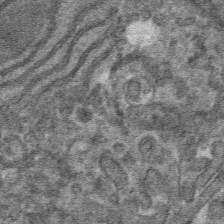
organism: Mouse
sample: Mouse hepatocytes